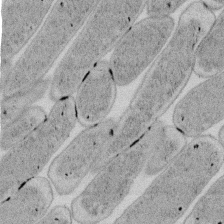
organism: E. coli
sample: Bacterial nucleoid